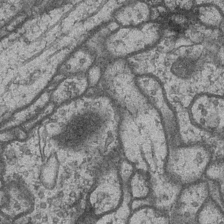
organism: Drosophila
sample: Optic medulla